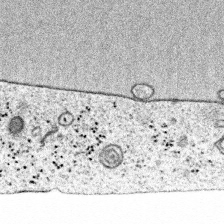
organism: Human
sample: HeLa cells